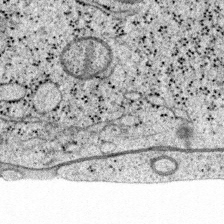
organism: Human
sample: HeLa cells